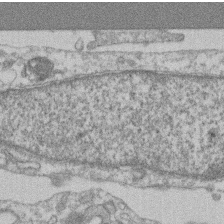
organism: Mouse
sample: T cell stromal cell synapse